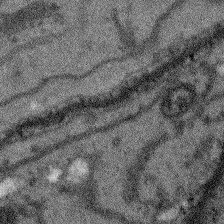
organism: Arabidopsis thaliana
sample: Root tip